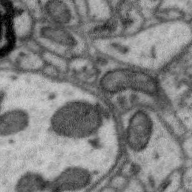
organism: Zebra finch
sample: Brain